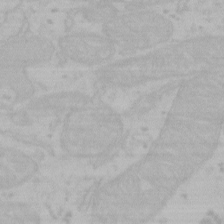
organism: Mouse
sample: Choroid plexus